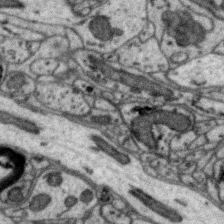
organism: Zebra finch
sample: Brain